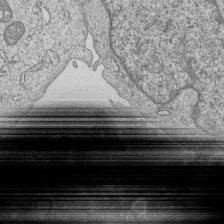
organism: Human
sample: MDA-MB-231 cells